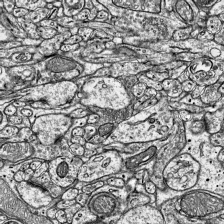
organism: Mouse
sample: Visual Cortex